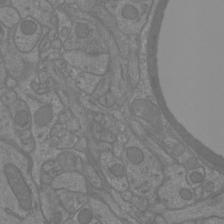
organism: Mouse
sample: Cortical neurons